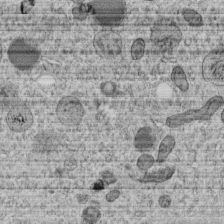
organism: C. elegans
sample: C. elegans embryo early stage